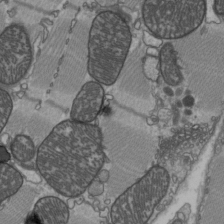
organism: C57BL Mouse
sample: Heart